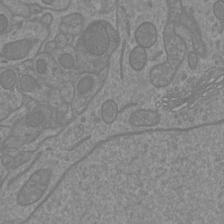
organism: Mouse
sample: Cortical neurons